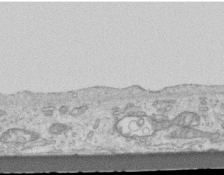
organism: Mouse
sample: Centriole in ependymal cells